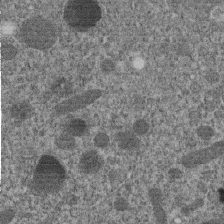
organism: C. elegans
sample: C. elegans embryo early stage